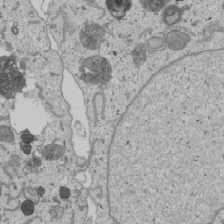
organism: Human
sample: Mitochondria in U2OS cells